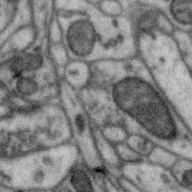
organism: Zebra finch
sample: Brain